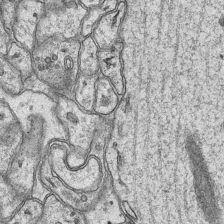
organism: Mouse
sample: CA1 Hippocampus